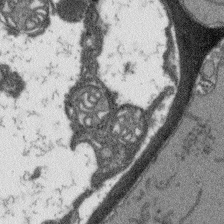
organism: Arabidopsis thaliana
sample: Root tip